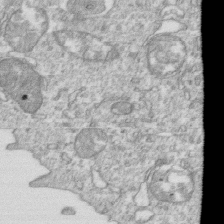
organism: Mouse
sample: Activated OT-1 CD8+ T cells